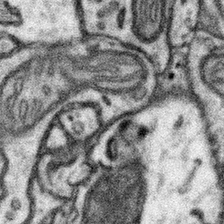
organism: Mouse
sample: Somatosensory cortex neuropil